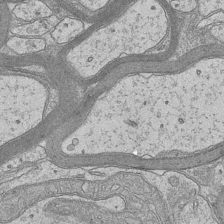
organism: Mouse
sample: CA1 Hippocampus